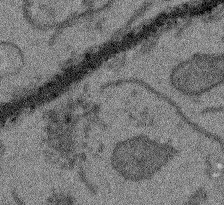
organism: Arabidopsis thaliana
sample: Root tip